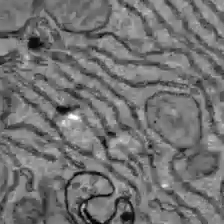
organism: C57BL Mouse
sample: Liver